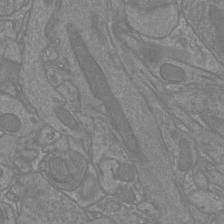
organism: Mouse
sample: Cortical neurons